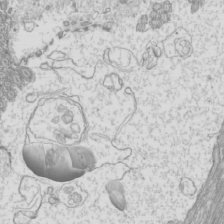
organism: Mouse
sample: Cilia; mouse epididymis